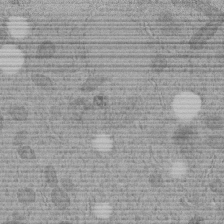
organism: C. elegans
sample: C. elegans embryo early stage